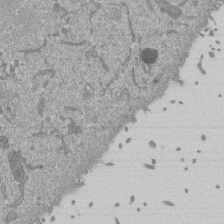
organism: Mouse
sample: ED-1 cell nuclei; centrioles